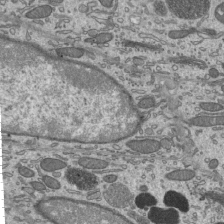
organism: Mouse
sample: Mouse epididymis efferent ductule cilia